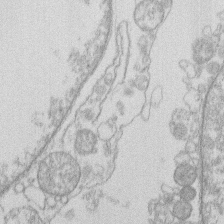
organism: Human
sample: Macrophage cells